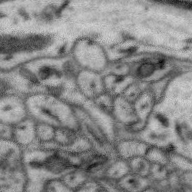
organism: Zebra finch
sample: Brain